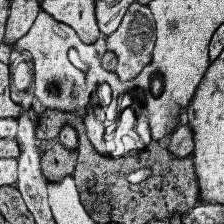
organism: Human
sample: Temporal Lobe